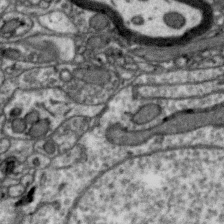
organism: Zebra finch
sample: Brain